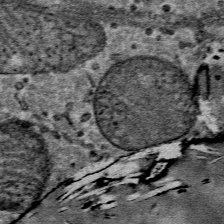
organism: Mouse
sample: Mouse Salivary gland